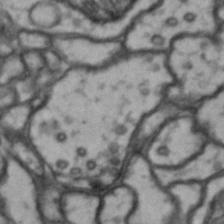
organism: Drosophila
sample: Brain